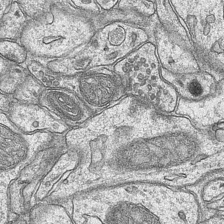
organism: Mouse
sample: CA1 Hippocampus